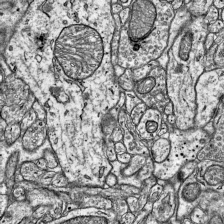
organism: Mouse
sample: Visual Cortex